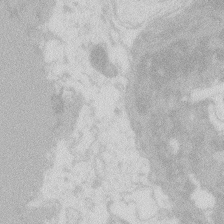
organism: Zebrafish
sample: Macrophage